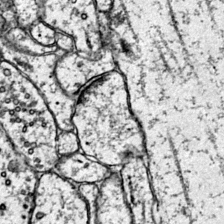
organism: Mouse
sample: Primary visual cortex